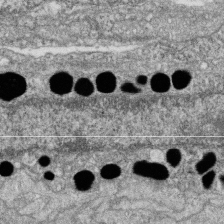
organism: Zebrafish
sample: Cilia; retinal pigment epithelium